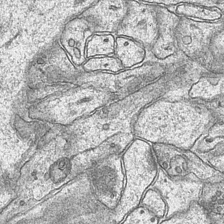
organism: Mouse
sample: CA1 Hippocampus